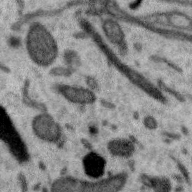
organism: Zebra finch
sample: Brain